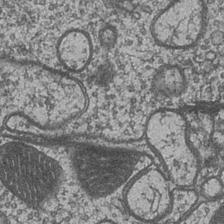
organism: Drosophila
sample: Optic medulla